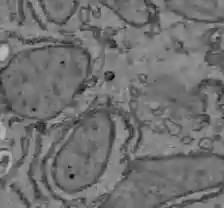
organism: C57BL Mouse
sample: Liver